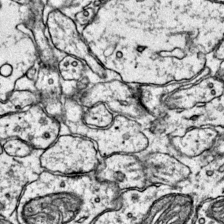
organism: Mouse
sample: Primary visual cortex